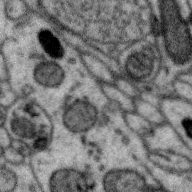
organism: Zebra finch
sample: Brain